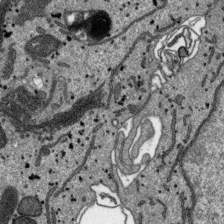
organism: Human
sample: Lung epithelial cells, uninfected (mock) control